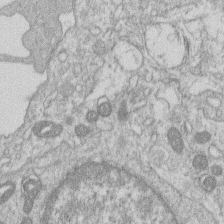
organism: Human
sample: Macrophage cells